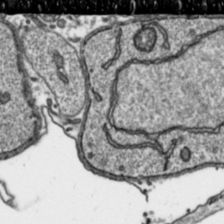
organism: Toxoplasma gondii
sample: Parasites in a vacuole inside a host cell